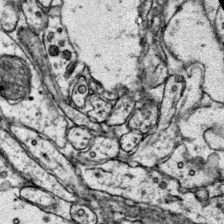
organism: Mouse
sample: Primary visual cortex